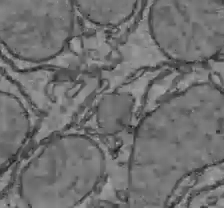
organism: C57BL Mouse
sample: Liver